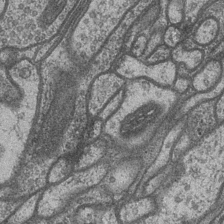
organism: Drosophila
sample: Optic medulla